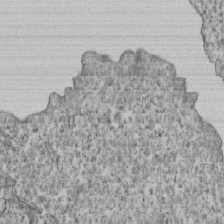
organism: Human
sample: MDA-MB-231 cells